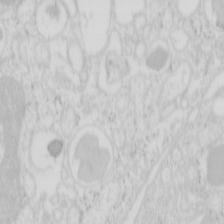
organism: Mouse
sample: Pancreas